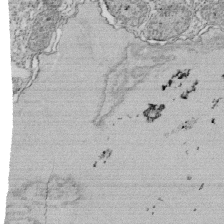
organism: Tetrahymena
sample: Cilia in tetrahymena